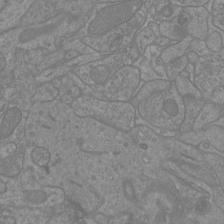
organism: Mouse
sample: Cortical neurons